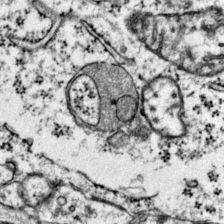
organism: Mouse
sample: Primary visual cortex